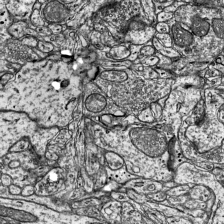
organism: Mouse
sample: Visual Cortex